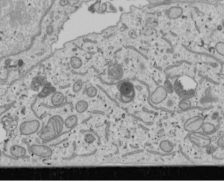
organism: Human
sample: Mitochondria in U2OS cells